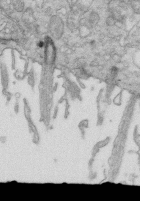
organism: Mouse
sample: Multiciliated cells